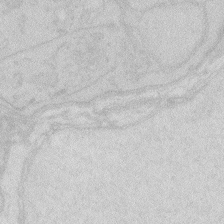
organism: Zebrafish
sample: Macrophage